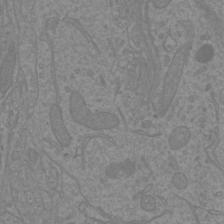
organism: Mouse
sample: Cortical neurons